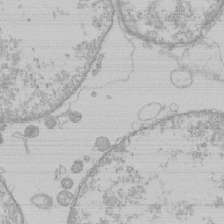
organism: Human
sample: Macrophage cells